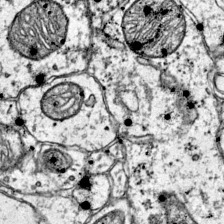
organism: Mouse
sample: Primary visual cortex